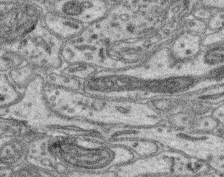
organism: Mouse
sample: Retina